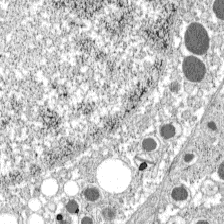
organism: C57BL Mouse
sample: Pancreatic islet